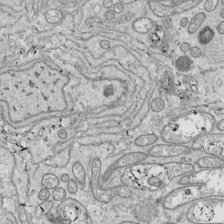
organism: Drosophila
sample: Cell division; meiosis; drosophila spermatocytes